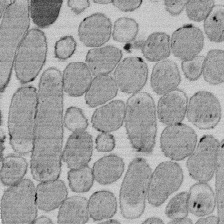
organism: E. coli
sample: Bacterial nucleoid